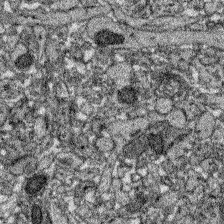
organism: Zebrafish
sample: Larval olfactory bulb